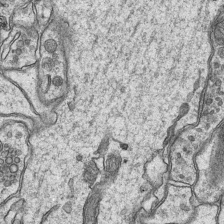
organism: Mouse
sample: CA1 Hippocampus